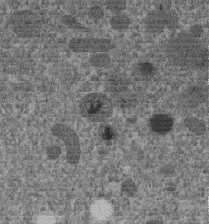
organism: C. elegans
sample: C. elegans embryo early stage